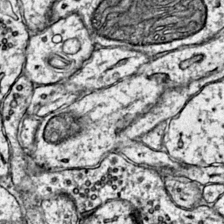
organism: Mouse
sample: Primary visual cortex